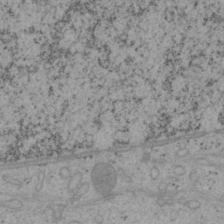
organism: Human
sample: HeLa cells